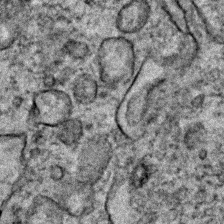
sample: Trachea